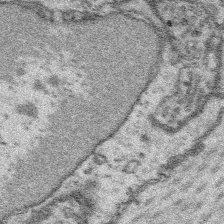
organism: Platynereis dumerilii